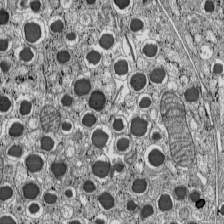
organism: C57BL Mouse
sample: Pancreatic islet